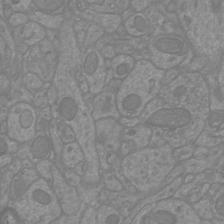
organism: Mouse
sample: Cortical neurons